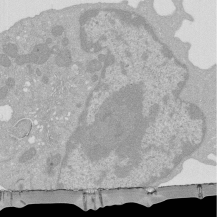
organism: Mouse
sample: Activated Pmel transgenic CD8+ T Cells